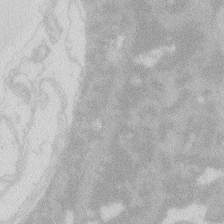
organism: Zebrafish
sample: Macrophage